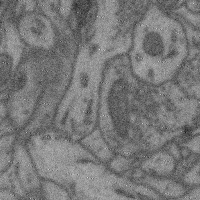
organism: Mouse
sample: Cerebral cortex